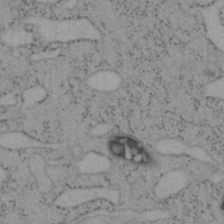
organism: Mouse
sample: OT-I killer T cells with ID8 ovarian cancer cells